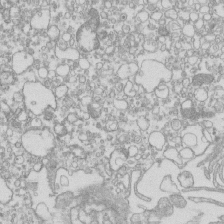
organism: Mouse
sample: Macrophages